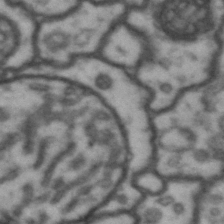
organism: Drosophila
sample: Brain